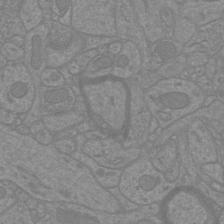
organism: Mouse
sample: Cortical neurons